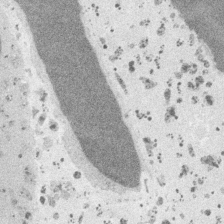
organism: Embia sp.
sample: Silk gland